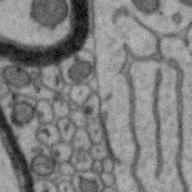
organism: Zebra finch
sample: Brain